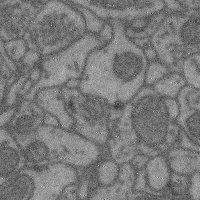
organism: Mouse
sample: Cerebral cortex